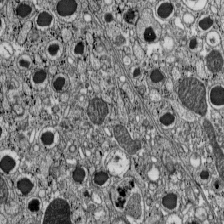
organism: C57BL Mouse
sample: Pancreatic islet